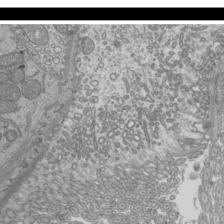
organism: Mouse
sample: Cilia; mouse epididymis